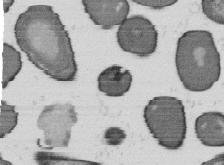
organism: B. subtilis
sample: Bacterial spore